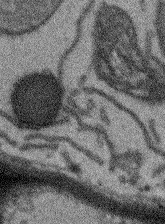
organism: Arabidopsis thaliana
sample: Root tip